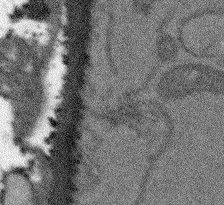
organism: Arabidopsis thaliana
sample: Root tip